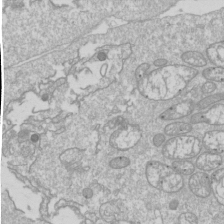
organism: Drosophila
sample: Cell division; meiosis; drosophila spermatocytes